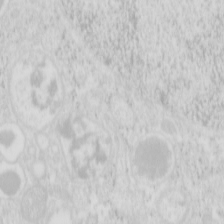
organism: Mouse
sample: Pancreas